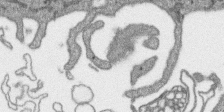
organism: Human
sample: Lung epithelial cells infected with SARS-CoV-2